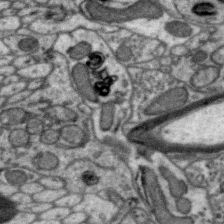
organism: Zebra finch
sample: Brain